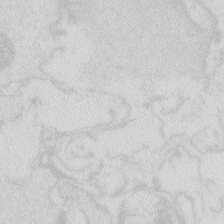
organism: Zebrafish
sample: Macrophage